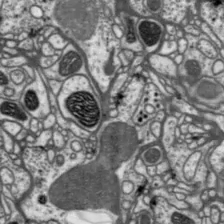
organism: Drosophila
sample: Protocerebral bridge